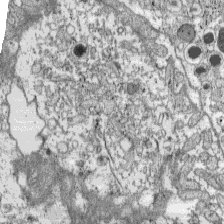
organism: C57BL Mouse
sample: Pancreatic islet